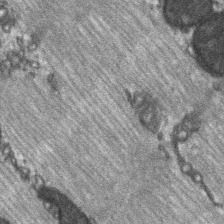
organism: C57BL Mouse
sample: Soleus